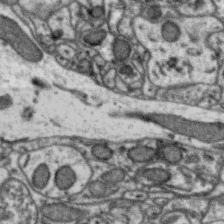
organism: Zebra finch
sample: Brain